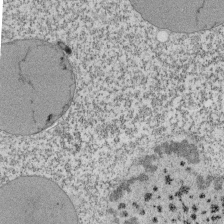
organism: Tetrahymena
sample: Cilia in tetrahymena